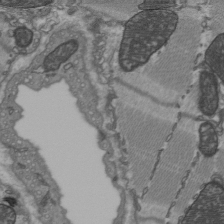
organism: C57BL Mouse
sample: Heart